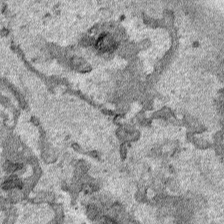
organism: Human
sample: Mitochondria in HCT116 cells